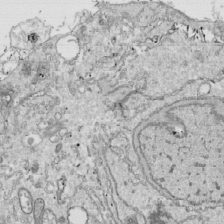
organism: Drosophila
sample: Cell division; meiosis; drosophila spermatocytes